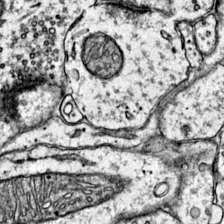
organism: Mouse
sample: Primary visual cortex